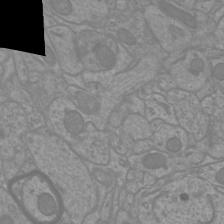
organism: Mouse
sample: Cortical neurons